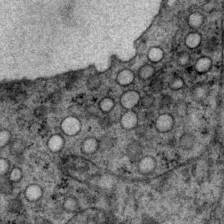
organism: P. pacificus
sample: Pharynx